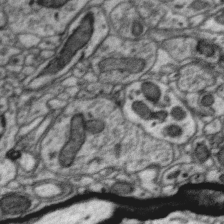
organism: Zebra finch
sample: Brain